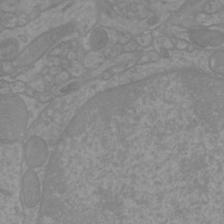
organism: Mouse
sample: Cortical neurons